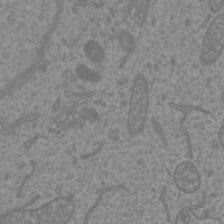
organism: Mouse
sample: Cortical neurons